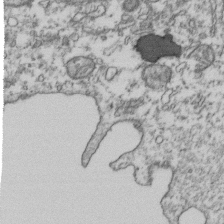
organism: Human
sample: Activated Jurkat CD4+ T cells